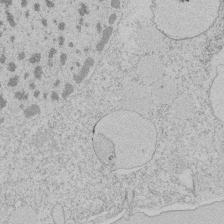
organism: Tetrahymena